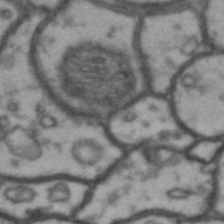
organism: Drosophila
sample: Brain